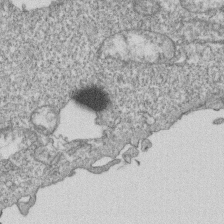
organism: Human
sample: HeLa cell HIV synapse